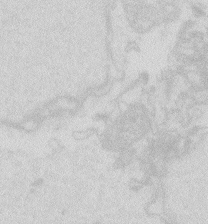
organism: Zebrafish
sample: Macrophage